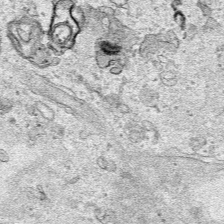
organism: Human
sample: Mitochondria in HCT116 cells